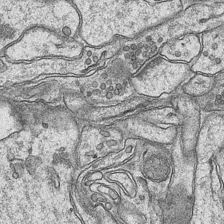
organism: Mouse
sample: CA1 Hippocampus